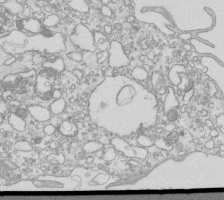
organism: Mouse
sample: Macrophages